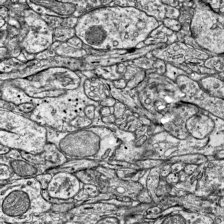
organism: Mouse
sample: Visual Cortex